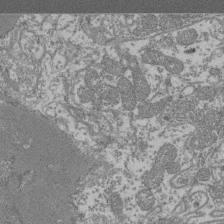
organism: Mouse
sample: Glomerulus